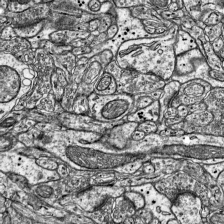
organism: Mouse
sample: Visual Cortex